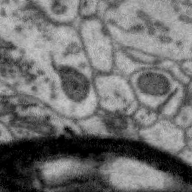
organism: Zebra finch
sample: Brain